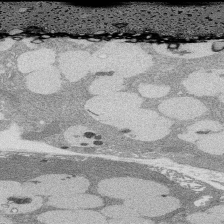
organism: Rat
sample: Salivary granule